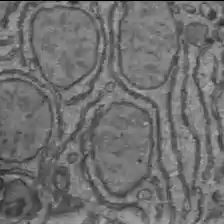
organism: C57BL Mouse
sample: Liver